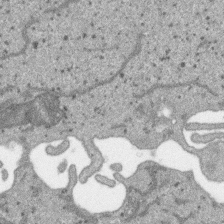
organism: Human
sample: Lung epithelial cells infected with SARS-CoV-2